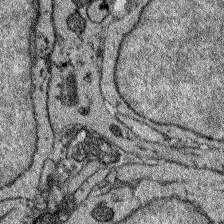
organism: Zebrafish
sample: Larval olfactory bulb